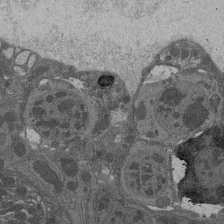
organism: Drosophila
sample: Antenna